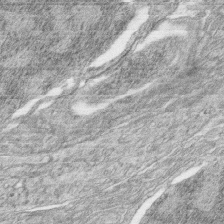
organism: Zebrafish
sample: synaptic ribbons in rod cells and cone cells